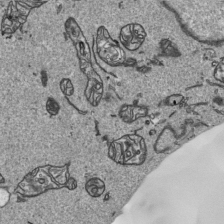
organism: Human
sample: Mitochondria in HCT116 cells